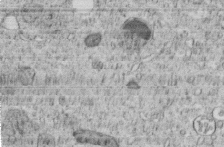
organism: C. elegans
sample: C. elegans embryo early stage